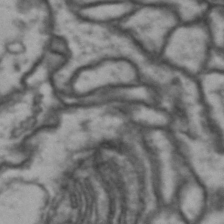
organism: Drosophila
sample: Brain